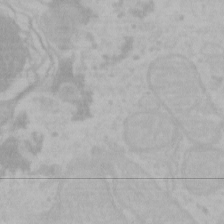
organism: Mouse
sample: Choroid plexus